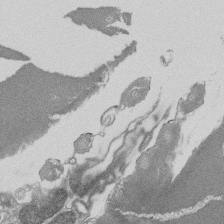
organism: Tetrahymena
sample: Cilia in tetrahymena